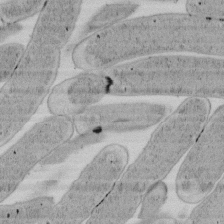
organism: E. coli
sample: Bacterial nucleoid